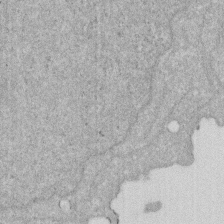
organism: Human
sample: HIV infected U937 cells